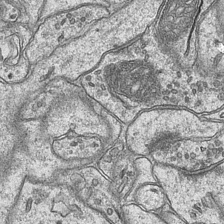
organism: Mouse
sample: CA1 Hippocampus